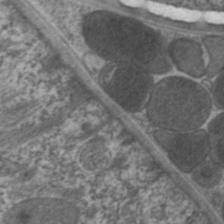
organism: C. elegans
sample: Pharynx